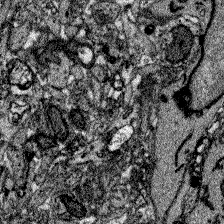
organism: Zebrafish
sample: Larval olfactory bulb